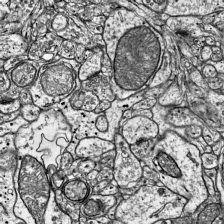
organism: Mouse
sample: Visual Cortex